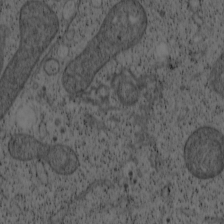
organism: African green monkey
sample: COS-7 cells